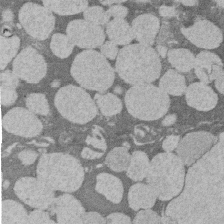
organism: Rat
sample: Salivary granule